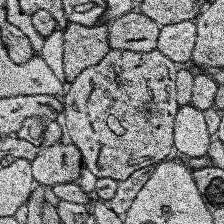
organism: Human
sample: Temporal Lobe